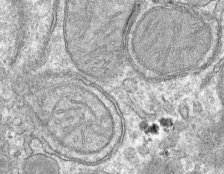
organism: Mouse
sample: Mouse hepatocytes